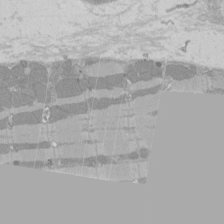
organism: Rat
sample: Left ventricle